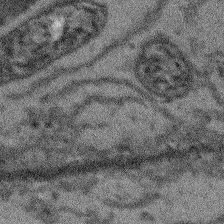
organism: Arabidopsis thaliana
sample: Root tip